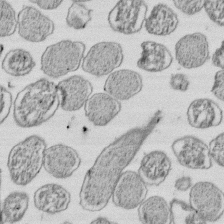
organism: E. coli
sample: Bacterial nucleoid